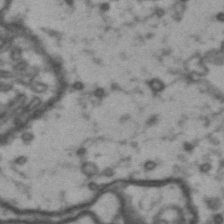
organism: Drosophila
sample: Brain